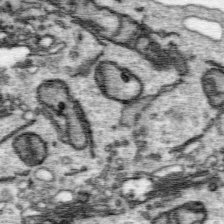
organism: Human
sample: HeLa cells